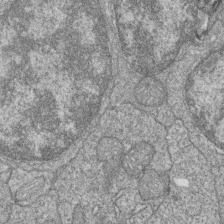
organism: Zebrafish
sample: Cilia; retinal pigment epithelium